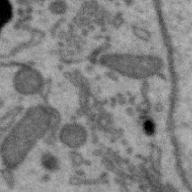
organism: Zebra finch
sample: Brain